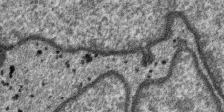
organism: Human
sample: Lung epithelial cells infected with SARS-CoV-2